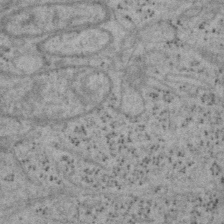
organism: Human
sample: HeLa cells